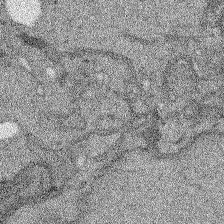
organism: Human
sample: HeLa cells